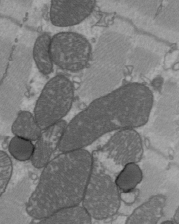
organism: C57BL Mouse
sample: Heart